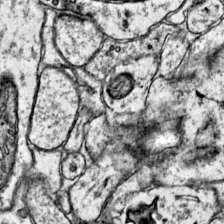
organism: Mouse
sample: Primary visual cortex